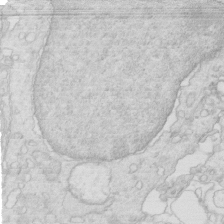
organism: Mouse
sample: Multiciliated cells